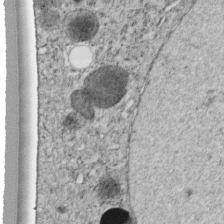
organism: C. elegans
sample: C. elegans embryo early stage